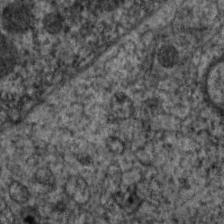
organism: C. elegans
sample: Pharynx